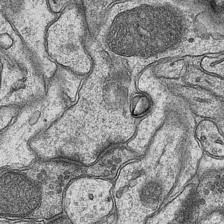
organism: Mouse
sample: CA1 Hippocampus